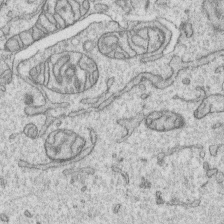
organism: Human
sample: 1205lu cells